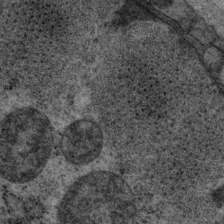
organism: P. pacificus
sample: Pharynx